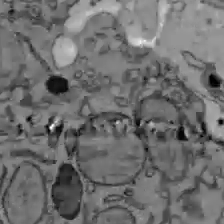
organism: C57BL Mouse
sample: Liver